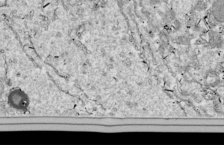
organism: Drosophila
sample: Cell division; meiosis; drosophila spermatocytes